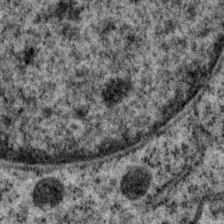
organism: P. pacificus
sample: Pharynx